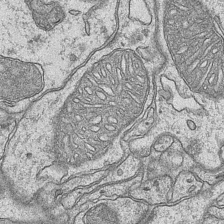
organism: Mouse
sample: CA1 Hippocampus